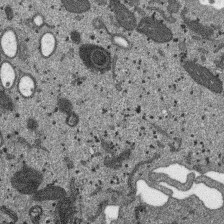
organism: Human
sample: Lung epithelial cells infected with SARS-CoV-2